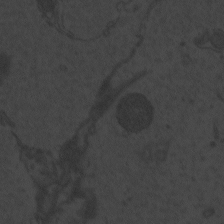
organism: Zebrafish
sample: Macrophage infected with Toxoplasma gondii